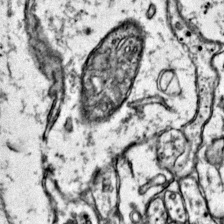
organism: Mouse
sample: Primary visual cortex